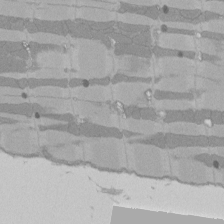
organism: Rat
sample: Left ventricle